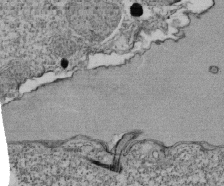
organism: Tetrahymena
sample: Cilia in tetrahymena